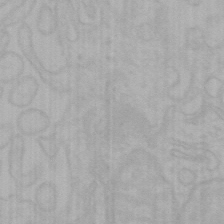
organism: Mouse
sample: Choroid plexus